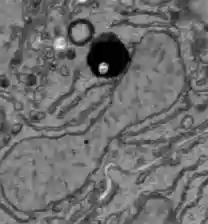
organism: C57BL Mouse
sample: Liver